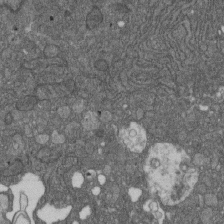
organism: Drosophila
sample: Nephrocyte